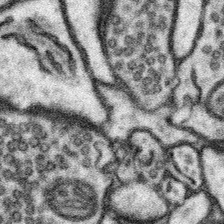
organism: Mouse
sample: Somatosensory cortex neuropil